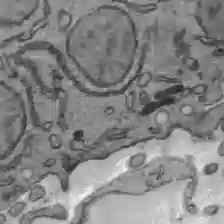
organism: C57BL Mouse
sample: Liver